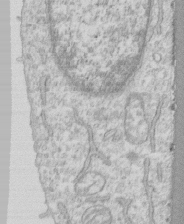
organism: Human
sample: CRL-1474